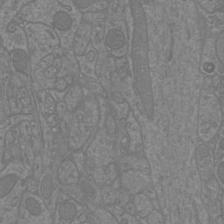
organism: Mouse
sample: Cortical neurons